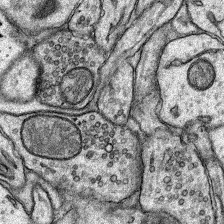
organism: Rat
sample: Hippocampus